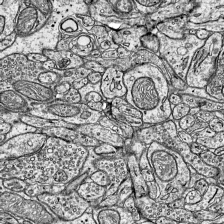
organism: Mouse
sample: Visual Cortex